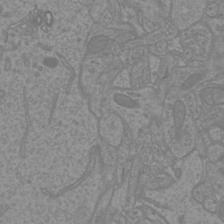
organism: Mouse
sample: Cortical neurons